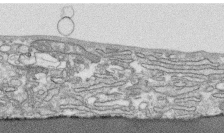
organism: Human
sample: CRL-1474